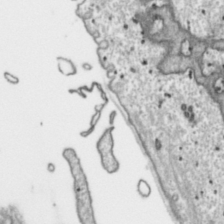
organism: Toxoplasma gondii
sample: Parasites in a vacuole inside a host cell